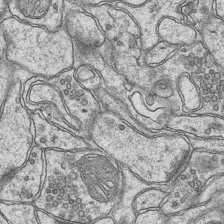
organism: Mouse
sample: CA1 Hippocampus